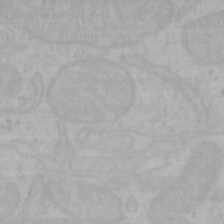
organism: Mouse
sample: Choroid plexus